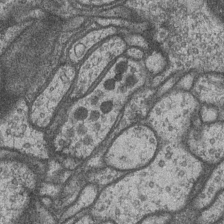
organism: Drosophila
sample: Optic medulla